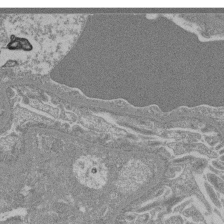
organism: Mouse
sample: Glomerulus